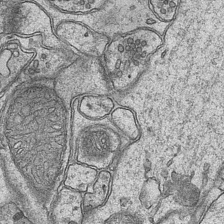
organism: Mouse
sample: CA1 Hippocampus